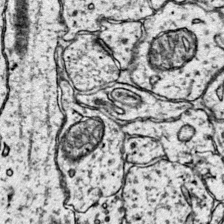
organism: Mouse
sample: Primary visual cortex